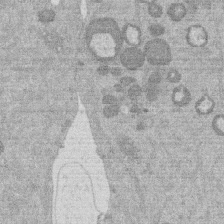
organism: Mouse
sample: Dividing mouse embryo 1 cell stage